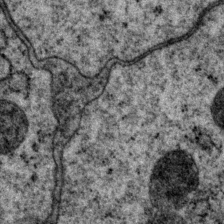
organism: P. pacificus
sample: Pharynx